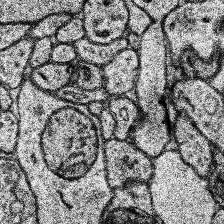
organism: Human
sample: Temporal Lobe